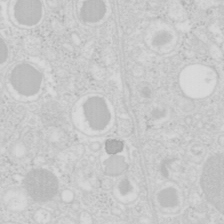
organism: Mouse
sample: Pancreas